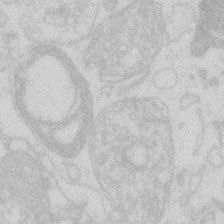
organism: Zebrafish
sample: Macrophage